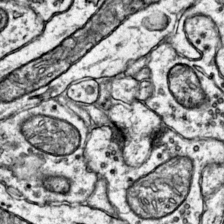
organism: Mouse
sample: Primary visual cortex